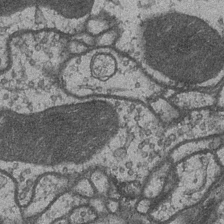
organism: Drosophila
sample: Optic medulla